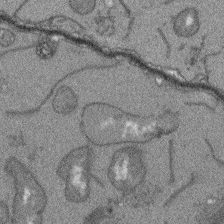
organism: Arabidopsis thaliana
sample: Root tip